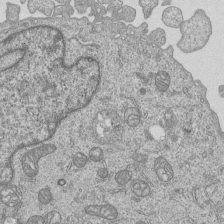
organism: Human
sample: MDA-MB-231 cells